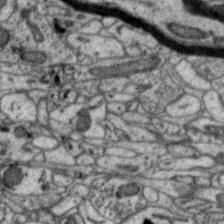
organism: Zebra finch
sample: Brain